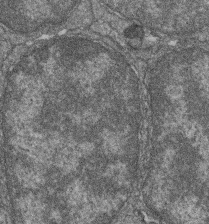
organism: Zebrafish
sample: Cilia; retinal pigment epithelium